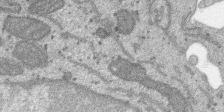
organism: Human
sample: Lung epithelial cells infected with SARS-CoV-2